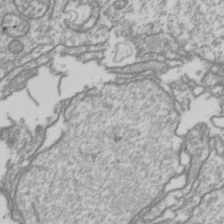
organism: Drosophila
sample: Cell division; meiosis; drosophila spermatocytes